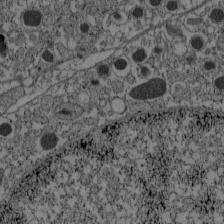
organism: C57BL Mouse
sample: Pancreatic islet